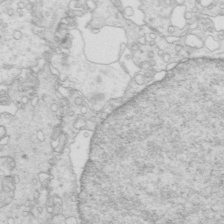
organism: Mouse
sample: Multiciliated cells